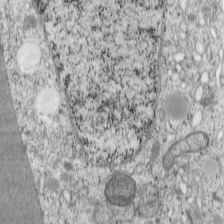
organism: African green monkey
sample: COS-7 cells